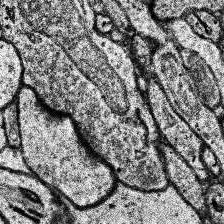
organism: Human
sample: Temporal Lobe